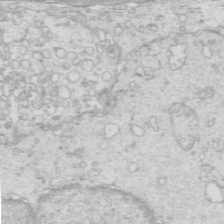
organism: Mouse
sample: Multiciliated cells